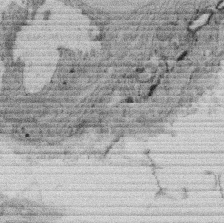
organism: Rat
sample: Salivary granule